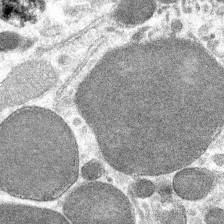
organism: Mouse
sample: Mouse hepatocytes